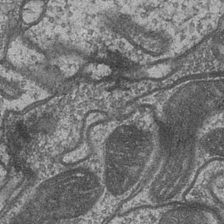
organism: Drosophila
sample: Optic medulla